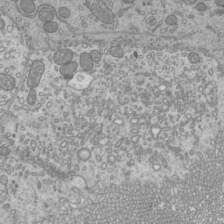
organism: Mouse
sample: Cilia; mouse epididymis